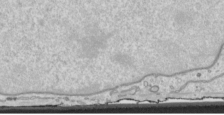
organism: Human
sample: Mitochondria in HCT116 cells